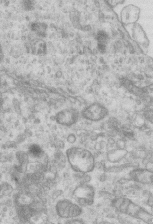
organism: Mouse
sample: Centriole in ependymal cells